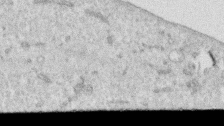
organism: Human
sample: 1205lu cells